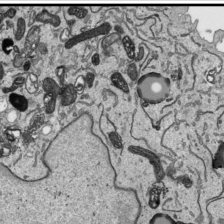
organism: Human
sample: Mitochondria in HCT116 cells